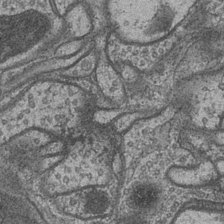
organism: Drosophila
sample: Optic medulla